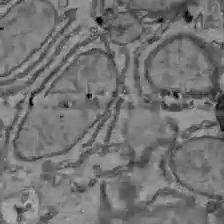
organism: C57BL Mouse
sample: Liver